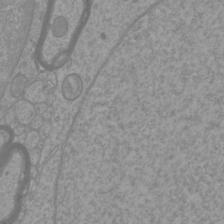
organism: Mouse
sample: Cortical neurons